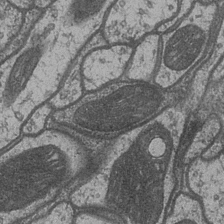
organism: Drosophila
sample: Optic medulla